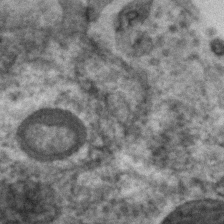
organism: Zebrafish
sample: Zebrafish embryo